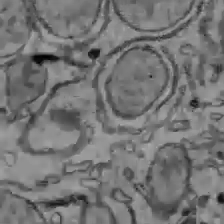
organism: C57BL Mouse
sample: Liver